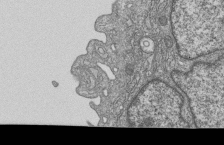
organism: Human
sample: MDA-MB-231 cells